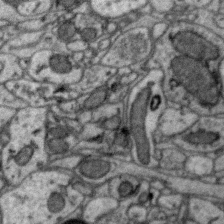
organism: Zebra finch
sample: Brain